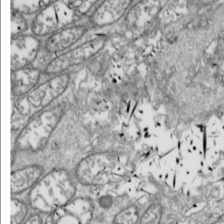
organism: Drosophila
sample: Cell division; meiosis; drosophila spermatocytes